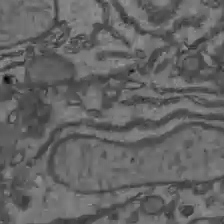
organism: C57BL Mouse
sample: Liver